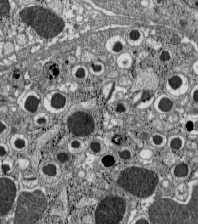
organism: C57BL Mouse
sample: Pancreatic islet